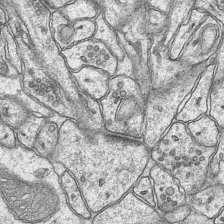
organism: Mouse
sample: CA1 Hippocampus